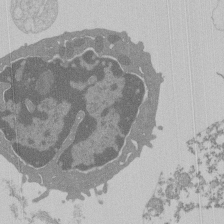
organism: Mouse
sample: Activated Pmel transgenic CD8+ T Cells